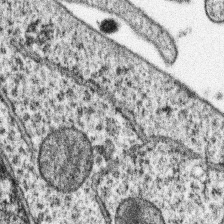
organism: Human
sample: HeLa cells